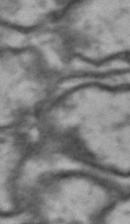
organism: Drosophila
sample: Brain